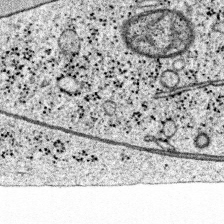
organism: Human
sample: HeLa cells